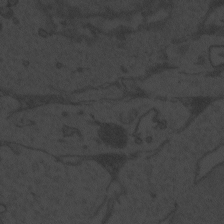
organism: Zebrafish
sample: Macrophage infected with Toxoplasma gondii